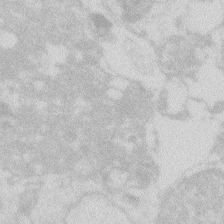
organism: Zebrafish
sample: Macrophage